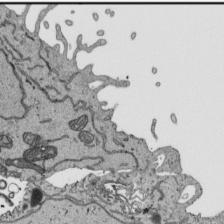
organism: Human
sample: Mitochondria in HCT116 cells